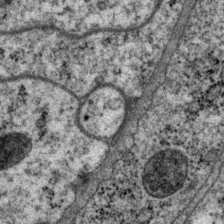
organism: P. pacificus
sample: Pharynx